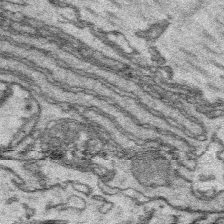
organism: Platynereis dumerilii